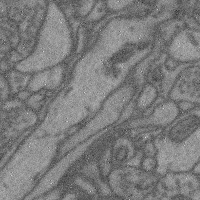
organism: Mouse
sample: Cerebral cortex